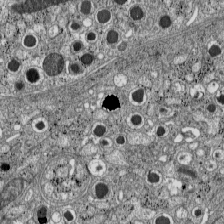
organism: C57BL Mouse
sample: Pancreatic islet